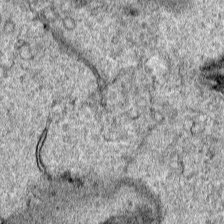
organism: Human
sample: Mitochondria in HCT116 cells